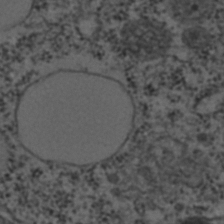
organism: C. elegans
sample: C. elegans embryo